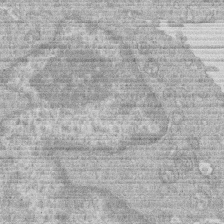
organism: Human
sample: Macrophage cells